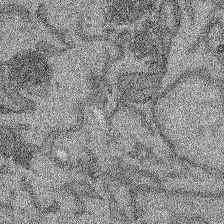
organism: Human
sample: HeLa cells